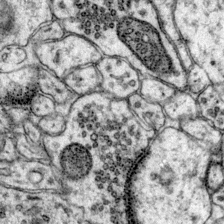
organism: Mouse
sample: Primary visual cortex